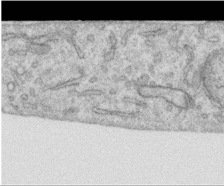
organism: Human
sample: Centriole in RPE cells